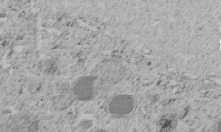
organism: C. elegans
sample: C. elegans embryo early stage